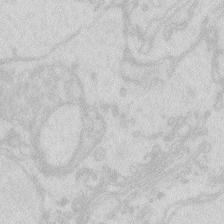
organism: Zebrafish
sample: Macrophage